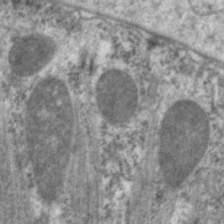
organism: C. elegans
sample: Pharynx